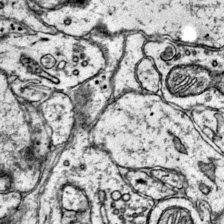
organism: Mouse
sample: Primary visual cortex